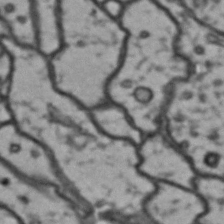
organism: Drosophila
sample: Brain